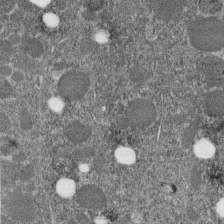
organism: C. elegans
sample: C. elegans embryo early stage